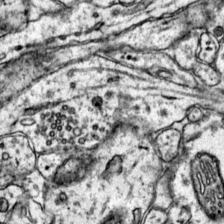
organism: Mouse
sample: Primary visual cortex